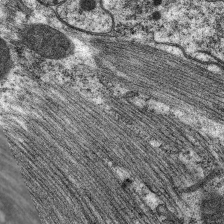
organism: C. elegans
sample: Pharynx